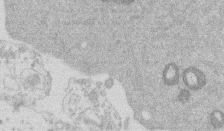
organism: Mouse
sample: Dividing mouse embryo 1 cell stage